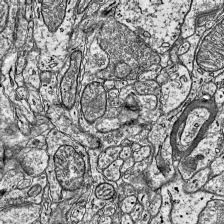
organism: Mouse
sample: Visual Cortex